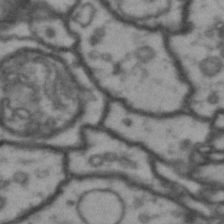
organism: Drosophila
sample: Brain